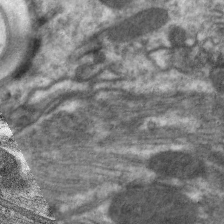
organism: C. elegans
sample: Pharynx